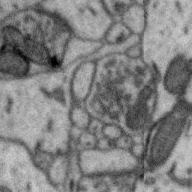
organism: Zebra finch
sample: Brain